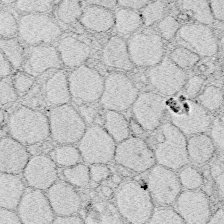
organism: Zebrafish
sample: Whole-Brain